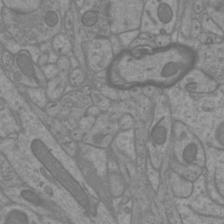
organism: Mouse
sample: Cortical neurons